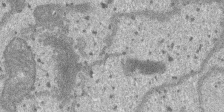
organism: Human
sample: Lung epithelial cells infected with SARS-CoV-2